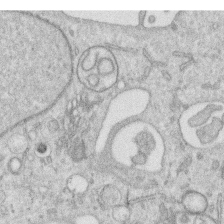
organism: Human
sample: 1205lu cells